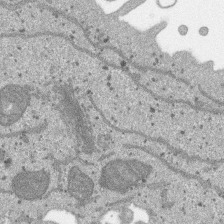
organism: Human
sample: Lung epithelial cells infected with SARS-CoV-2